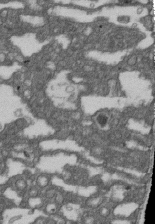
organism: Drosophila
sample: Nephrocyte